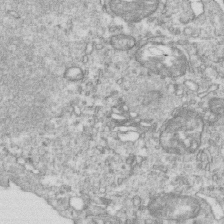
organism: Mouse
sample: Activated OT-1 CD8+ T cells